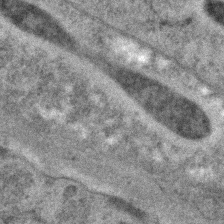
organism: C. elegans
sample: C. elegans embryo